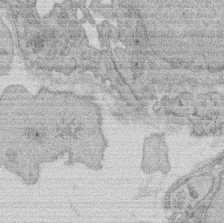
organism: Rat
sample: Salivary granule